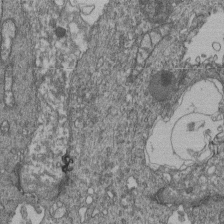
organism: Human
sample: Retinal organoid Rod and Cone cells